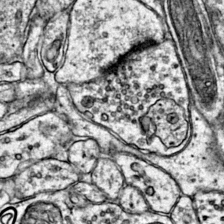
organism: Mouse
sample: Primary visual cortex